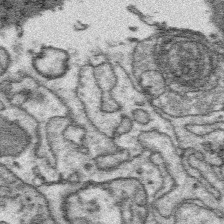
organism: Platynereis dumerilii